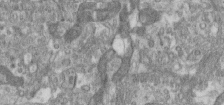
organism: Human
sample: Centriole in RPE cells